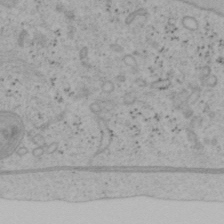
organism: Human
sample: HeLa cells